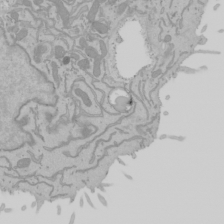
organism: Mouse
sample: Cancer cell death in ED-1 cells